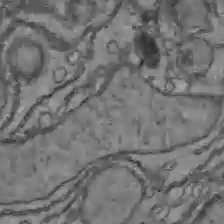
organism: C57BL Mouse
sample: Liver